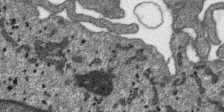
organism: Human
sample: Lung epithelial cells infected with SARS-CoV-2